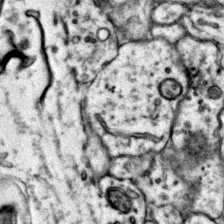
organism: Mouse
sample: Primary visual cortex